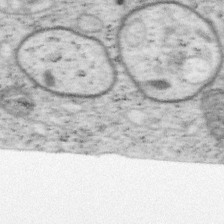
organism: Mouse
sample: OT-I killer T cells with ID8 ovarian cancer cells